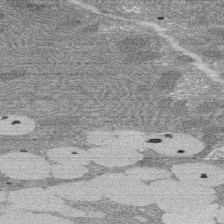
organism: Rat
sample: Salivary granule